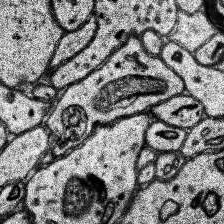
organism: Human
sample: Temporal Lobe